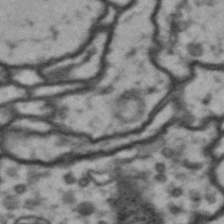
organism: Drosophila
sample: Brain